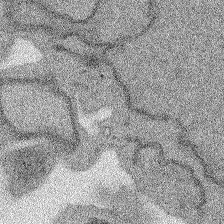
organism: Human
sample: HeLa cells